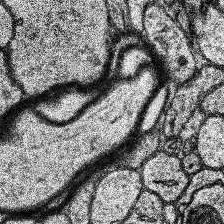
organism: Human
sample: Temporal Lobe